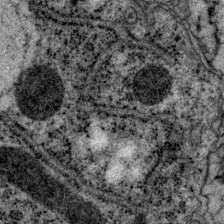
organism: P. pacificus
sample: Pharynx